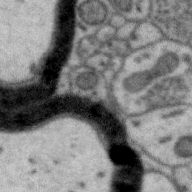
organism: Zebra finch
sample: Brain